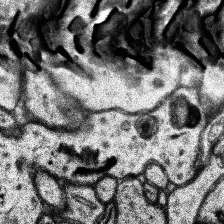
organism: Human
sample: Temporal Lobe